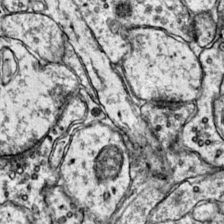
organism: Mouse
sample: Primary visual cortex